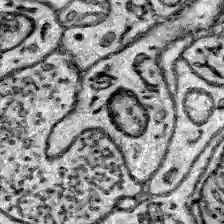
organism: Zebrafish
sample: Brain